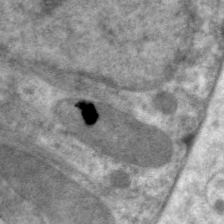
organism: C. elegans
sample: Pharynx